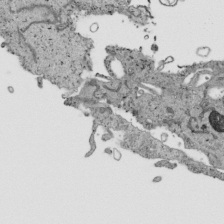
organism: Human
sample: Mitochondria in HCT116 cells